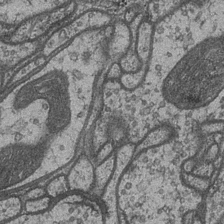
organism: Drosophila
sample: Optic medulla